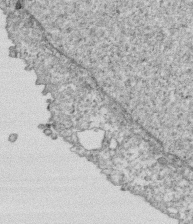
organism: Human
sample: HeLa cell HIV synapse